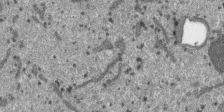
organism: Human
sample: Lung epithelial cells infected with SARS-CoV-2